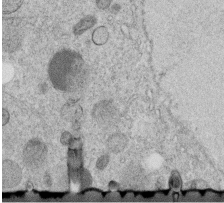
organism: C. elegans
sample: C. elegans embryo early stage